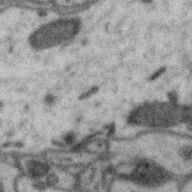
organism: Zebra finch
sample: Brain